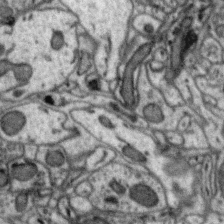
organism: Zebra finch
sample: Brain